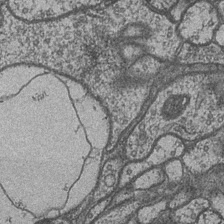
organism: Drosophila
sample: Optic medulla